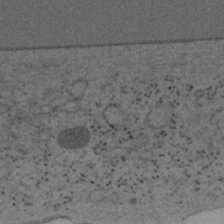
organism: Human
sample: HeLa cells